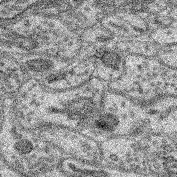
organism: Mouse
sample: Retina